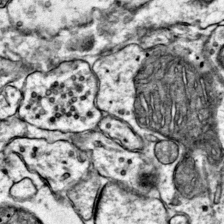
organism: Mouse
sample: Primary visual cortex